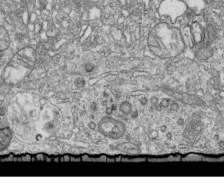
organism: Human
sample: HeLa cell HIV synapse